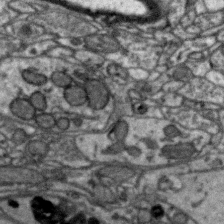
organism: Zebra finch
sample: Brain